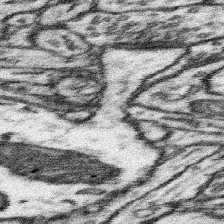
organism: Mouse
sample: Somatosensory cortex neuropil